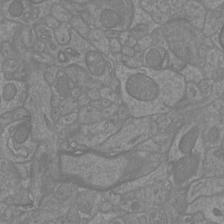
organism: Mouse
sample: Cortical neurons